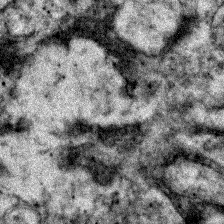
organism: Zebrafish